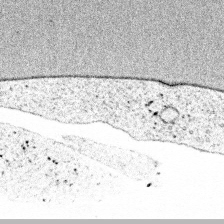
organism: Human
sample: HeLa cells